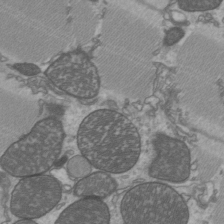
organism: C57BL Mouse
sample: Heart